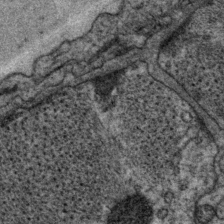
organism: P. pacificus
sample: Pharynx